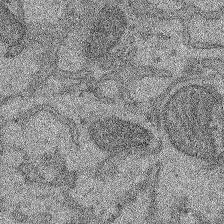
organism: Human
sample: HeLa cells